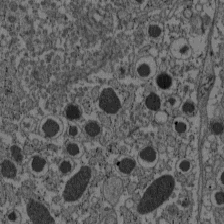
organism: C57BL Mouse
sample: Pancreatic islet